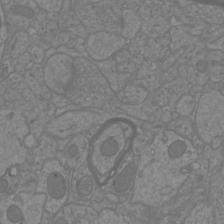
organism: Mouse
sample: Cortical neurons